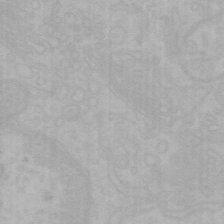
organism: Mouse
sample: Choroid plexus